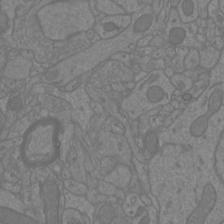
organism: Mouse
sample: Cortical neurons